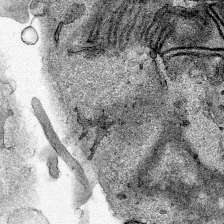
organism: Human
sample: Mitochondria in HCT116 cells